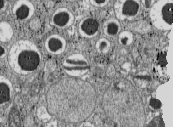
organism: C57BL Mouse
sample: Pancreatic islet